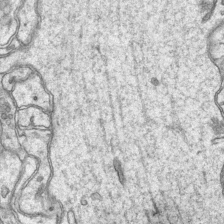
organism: Mouse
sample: CA1 Hippocampus